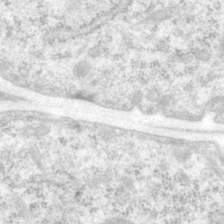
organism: P. pacificus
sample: Pharynx